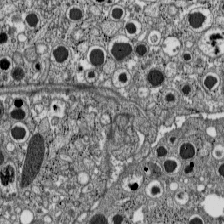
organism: C57BL Mouse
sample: Pancreatic islet